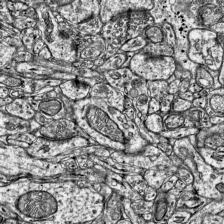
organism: Mouse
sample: Visual Cortex